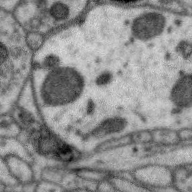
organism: Zebra finch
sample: Brain